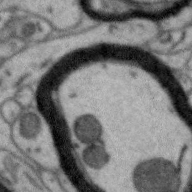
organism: Zebra finch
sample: Brain